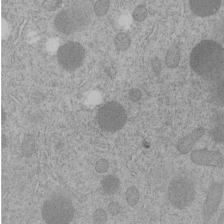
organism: C. elegans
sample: C. elegans embryo early stage